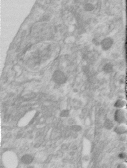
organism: Human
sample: Centriole in RPE cells